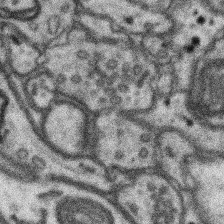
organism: Mouse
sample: Somatosensory cortex neuropil